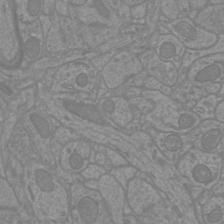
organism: Mouse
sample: Cortical neurons